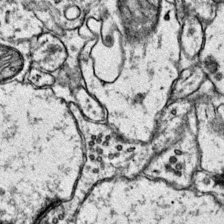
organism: Mouse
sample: Primary visual cortex